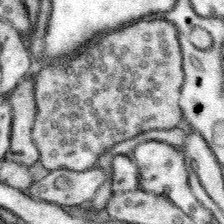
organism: Mouse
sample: Somatosensory cortex neuropil